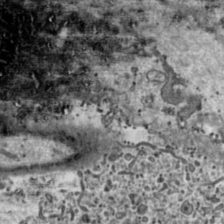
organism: Toxoplasma gondii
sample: Parasites in a vacuole inside a host cell